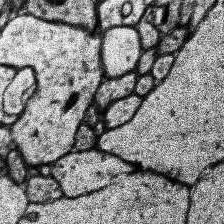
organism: Human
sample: Temporal Lobe